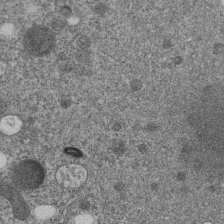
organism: C. elegans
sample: C. elegans embryo early stage